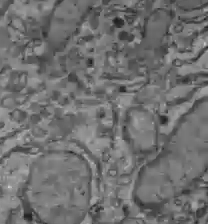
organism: C57BL Mouse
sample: Liver